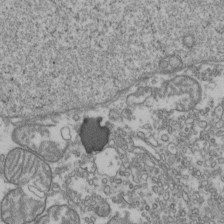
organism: Human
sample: Activated Jurkat CD4+ T cells